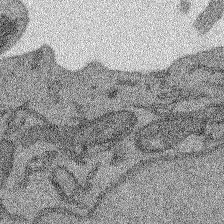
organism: Human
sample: HeLa cells